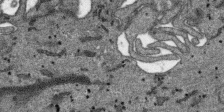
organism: Human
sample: Lung epithelial cells, uninfected (mock) control